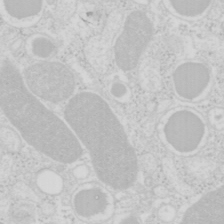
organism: Mouse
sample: Pancreas